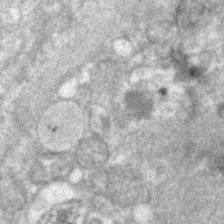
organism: Human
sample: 1205lu cells